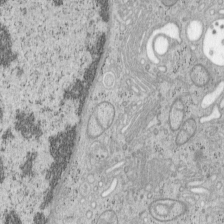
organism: Mouse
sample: OT-I killer T cells with ID8 ovarian cancer cells